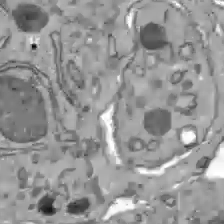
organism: C57BL Mouse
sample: Liver